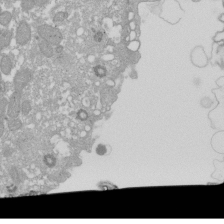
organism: Xenopus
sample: Cilia; centrioles in frog embryo cells